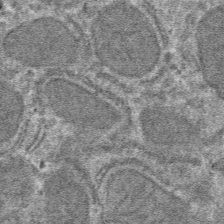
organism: Mouse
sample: Mouse hepatocytes